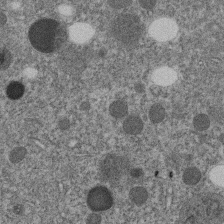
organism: C. elegans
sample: C. elegans embryo early stage